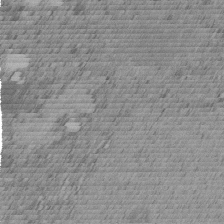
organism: C. elegans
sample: C. elegans embryo early stage